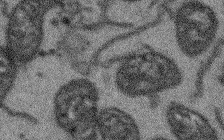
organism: Arabidopsis thaliana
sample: Root tip